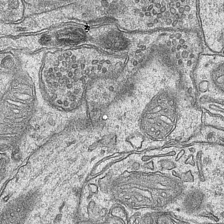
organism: Mouse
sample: CA1 Hippocampus